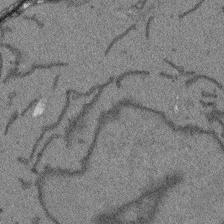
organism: Arabidopsis thaliana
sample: Root tip